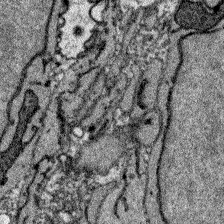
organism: Zebrafish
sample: Larval olfactory bulb